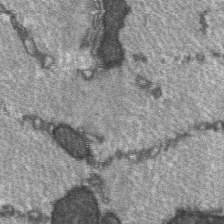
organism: C57BL Mouse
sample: Soleus